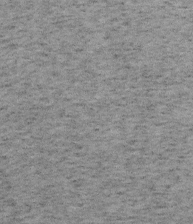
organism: Mouse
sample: OT-I killer T cells with ID8 ovarian cancer cells